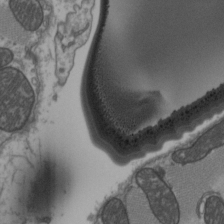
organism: C57BL Mouse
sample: Heart